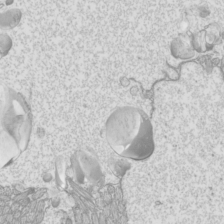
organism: Mouse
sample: Cilia; mouse epididymis